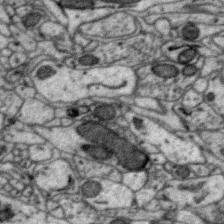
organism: Zebra finch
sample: Brain